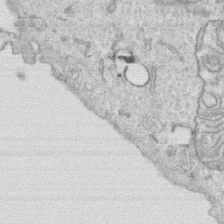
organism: Human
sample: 1205lu cells